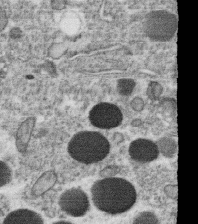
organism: C. elegans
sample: C. elegans oocyte; sperm cells